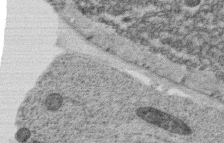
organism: C. elegans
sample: C. elegans oocyte; sperm cells